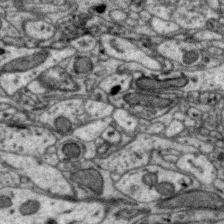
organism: Zebra finch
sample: Brain